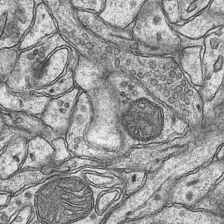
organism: Mouse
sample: CA1 Hippocampus